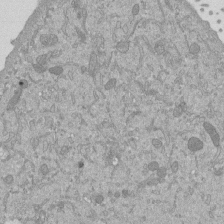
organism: Mouse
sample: ED-1 cell nuclei; centrioles